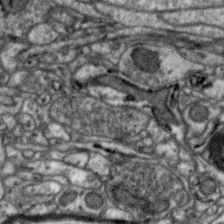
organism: Zebra finch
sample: Brain